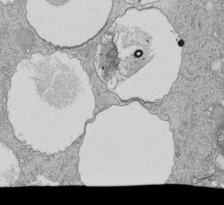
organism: Tetrahymena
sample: Cilia in tetrahymena